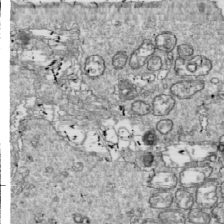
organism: Drosophila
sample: Cell division; meiosis; drosophila spermatocytes